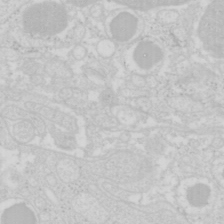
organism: Mouse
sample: Pancreas